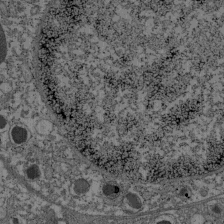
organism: C57BL Mouse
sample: Pancreatic islet